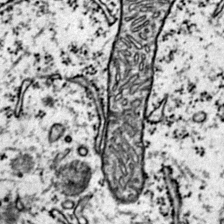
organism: Mouse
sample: Primary visual cortex